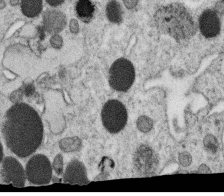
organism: C. elegans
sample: C. elegans oocyte; sperm cells